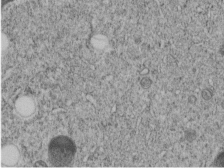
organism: C. elegans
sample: C. elegans embryo early stage